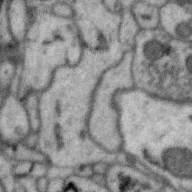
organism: Zebra finch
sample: Brain